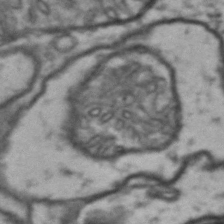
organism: Drosophila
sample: Brain